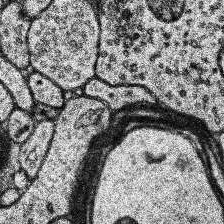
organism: Human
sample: Temporal Lobe